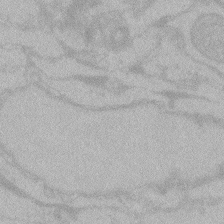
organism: Zebrafish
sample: Macrophage infected with Toxoplasma gondii